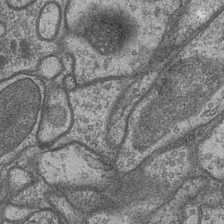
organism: Drosophila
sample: Optic medulla